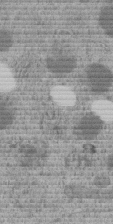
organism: C. elegans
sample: C. elegans embryo early stage